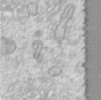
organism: Human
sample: Centriole in RPE cells